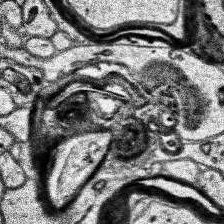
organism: Human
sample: Temporal Lobe